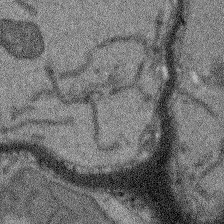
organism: Arabidopsis thaliana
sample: Root tip